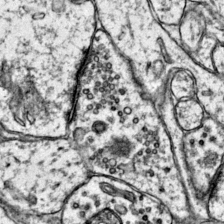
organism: Mouse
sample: Primary visual cortex